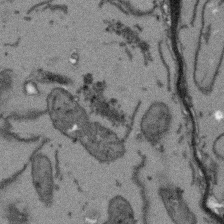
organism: Arabidopsis thaliana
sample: Root tip